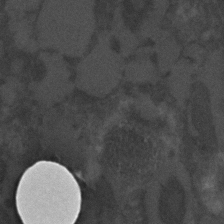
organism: C. elegans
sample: C. elegans embryo